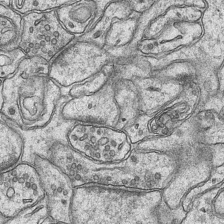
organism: Mouse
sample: CA1 Hippocampus